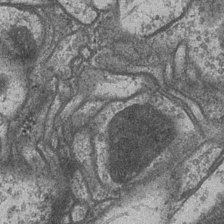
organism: Drosophila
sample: Optic medulla